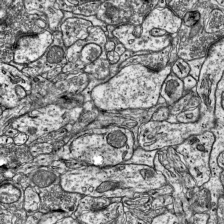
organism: Mouse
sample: Visual Cortex